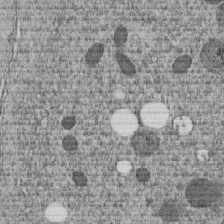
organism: C. elegans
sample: C. elegans embryo early stage